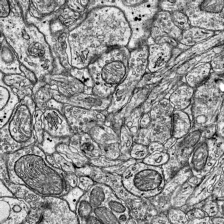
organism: Mouse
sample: Visual Cortex